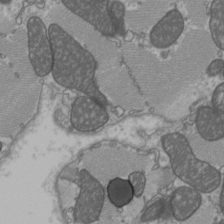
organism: C57BL Mouse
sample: Heart